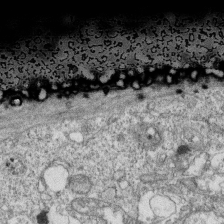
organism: Human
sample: HeLa cell HIV synapse